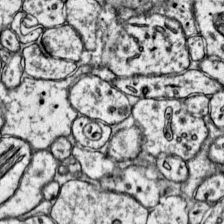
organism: Mouse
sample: Primary visual cortex